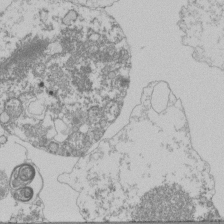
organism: Mouse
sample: Activated Pmel transgenic CD8+ T Cells